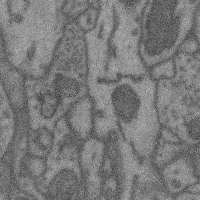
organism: Mouse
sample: Cerebral cortex